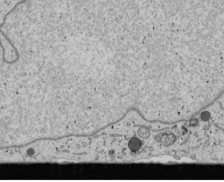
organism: Human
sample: Mitochondria in U2OS cells